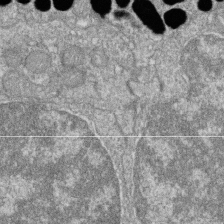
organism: Zebrafish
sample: Cilia; retinal pigment epithelium